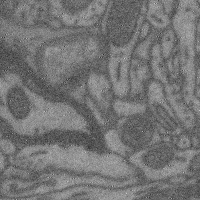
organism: Mouse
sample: Cerebral cortex